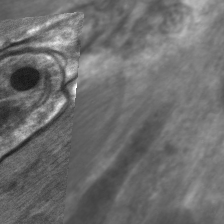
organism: C. elegans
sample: Pharynx